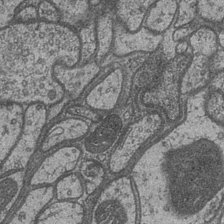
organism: Drosophila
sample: Optic medulla